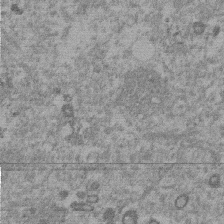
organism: Mouse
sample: Dividing mouse embryo 1 cell stage